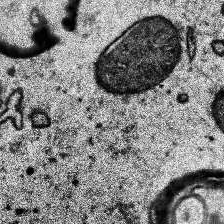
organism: Human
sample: Temporal Lobe